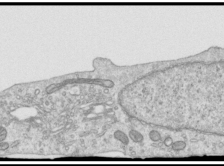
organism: Human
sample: Centriole in RPE cells